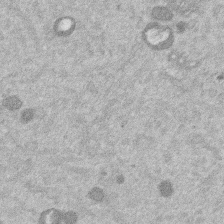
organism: Mouse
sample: Dividing mouse embryo 1 cell stage